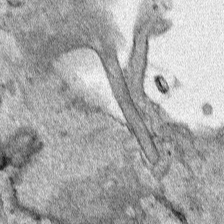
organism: Human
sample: Mitochondria in HCT116 cells